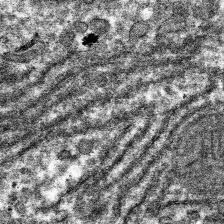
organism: Mouse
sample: Mouse hepatocytes